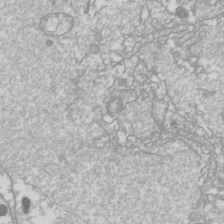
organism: Drosophila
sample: Cell division; meiosis; drosophila spermatocytes